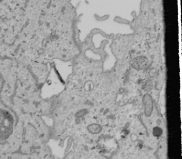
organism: Human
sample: Mitochondria in U2OS cells